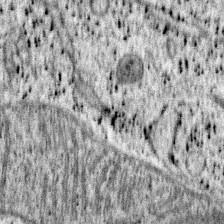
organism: Human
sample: HeLa cells